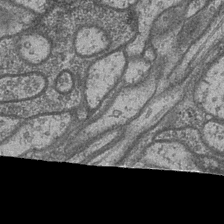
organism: Drosophila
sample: Optic medulla